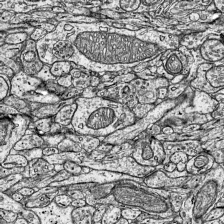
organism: Mouse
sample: Visual Cortex